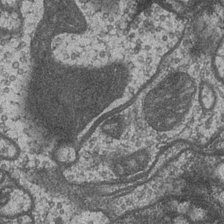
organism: Drosophila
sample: Optic medulla